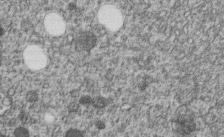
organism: C. elegans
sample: C. elegans embryo early stage